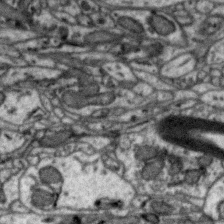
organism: Zebra finch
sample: Brain